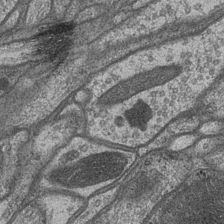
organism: Drosophila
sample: Optic medulla